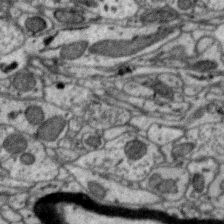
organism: Zebra finch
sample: Brain